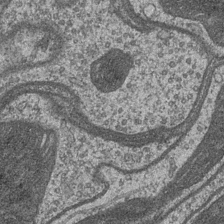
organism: Drosophila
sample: Optic medulla